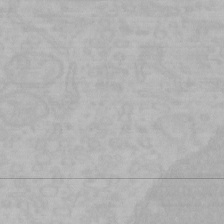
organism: Mouse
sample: Choroid plexus